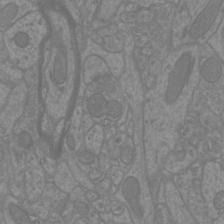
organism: Mouse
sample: Cortical neurons